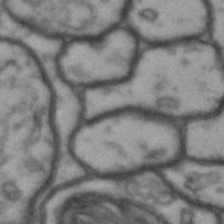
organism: Drosophila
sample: Brain